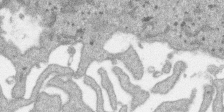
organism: Human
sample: Lung epithelial cells infected with SARS-CoV-2